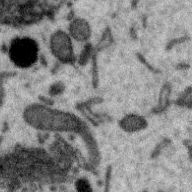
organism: Zebra finch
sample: Brain